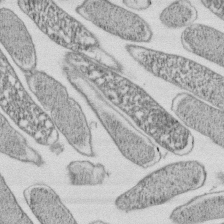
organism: E. coli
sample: Bacterial nucleoid